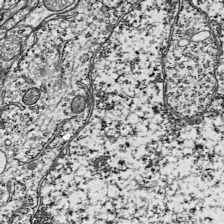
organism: Mouse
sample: Visual Cortex